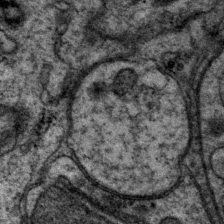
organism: P. pacificus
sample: Pharynx